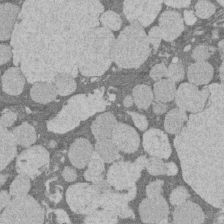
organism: Rat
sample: Salivary granule